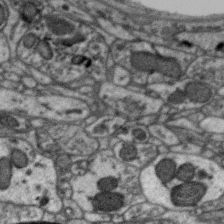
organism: Zebra finch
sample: Brain